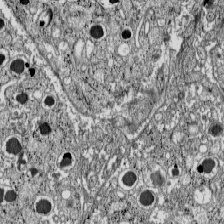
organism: C57BL Mouse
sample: Pancreatic islet